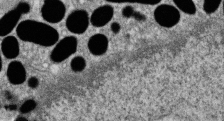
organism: Zebrafish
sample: Cilia; retinal pigment epithelium